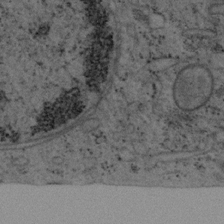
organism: Human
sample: HeLa cells